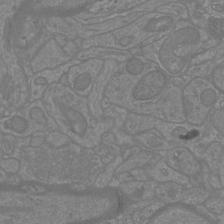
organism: Mouse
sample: Cortical neurons